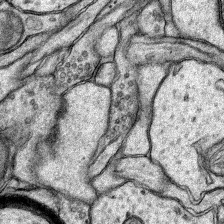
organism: Rat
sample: Hippocampus